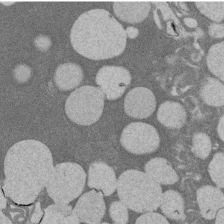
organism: Rat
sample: Salivary granule